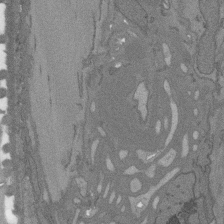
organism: C. elegans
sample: AFD neurons C. elegans